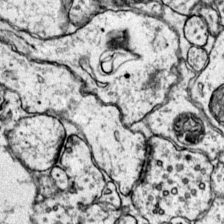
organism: Mouse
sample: Primary visual cortex